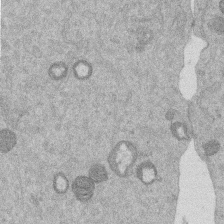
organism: Mouse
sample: Dividing mouse embryo 1 cell stage